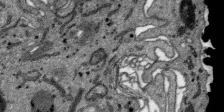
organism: Human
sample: Lung epithelial cells, uninfected (mock) control